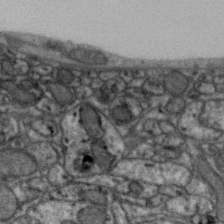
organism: Zebra finch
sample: Brain